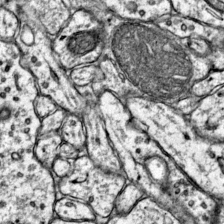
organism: Mouse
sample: Primary visual cortex